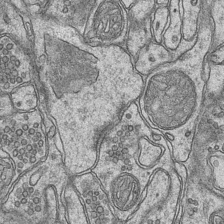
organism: Mouse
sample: CA1 Hippocampus